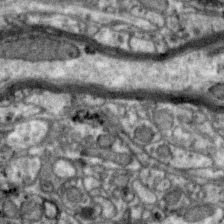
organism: Zebra finch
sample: Brain